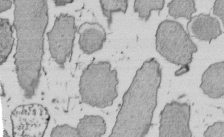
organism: E. coli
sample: Bacterial nucleoid